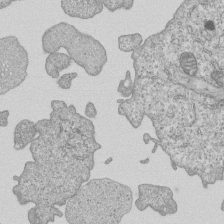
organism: Human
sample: MDA-MB-231 cells